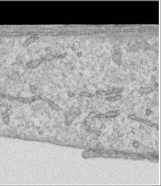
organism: Human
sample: Centriole in RPE cells